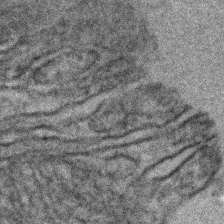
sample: Kidney